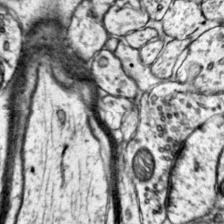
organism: Mouse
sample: Primary visual cortex